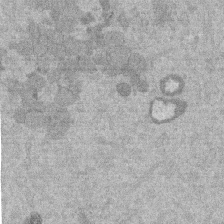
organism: Mouse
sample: Dividing mouse embryo 1 cell stage